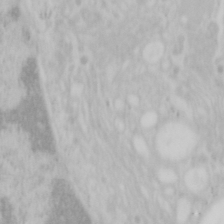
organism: Mouse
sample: OT-I killer T cells with ID8 ovarian cancer cells